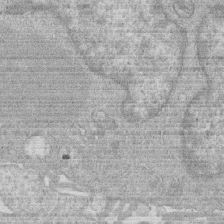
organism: Human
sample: Macrophage cells